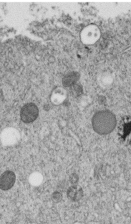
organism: C. elegans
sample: C. elegans embryo early stage